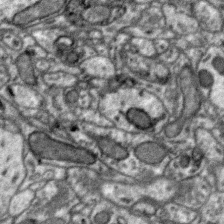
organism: Zebra finch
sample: Brain